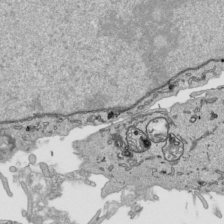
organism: Human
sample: Mitochondria in HCT116 cells